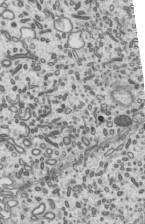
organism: Mouse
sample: Mouse epididymis efferent ductule cilia